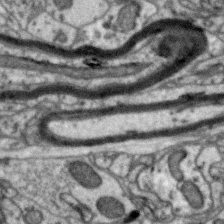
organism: Zebra finch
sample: Brain